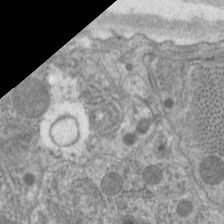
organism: C. elegans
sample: Pharynx